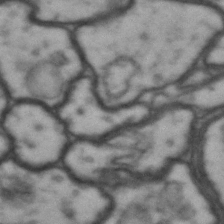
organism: Drosophila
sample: Brain